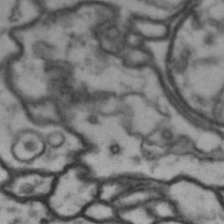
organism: Drosophila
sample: Brain